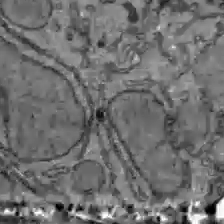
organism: C57BL Mouse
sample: Liver